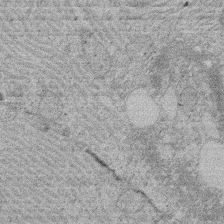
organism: Rat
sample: Salivary granule